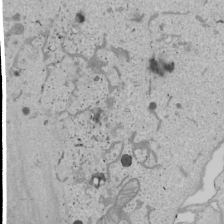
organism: Human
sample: Mitochondria in U2OS cells